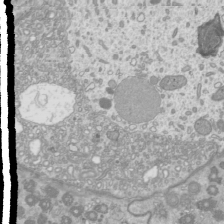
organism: Mouse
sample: Cilia; mouse epididymis